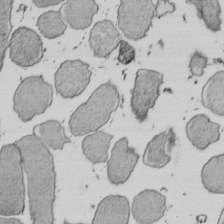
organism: E. coli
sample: Bacterial nucleoid